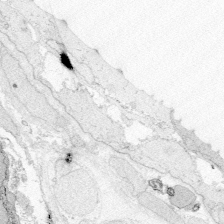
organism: Zebrafish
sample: Whole-Brain